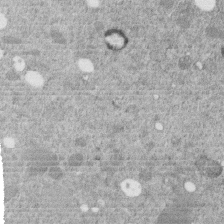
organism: C. elegans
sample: C. elegans embryo early stage